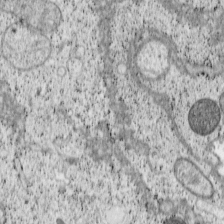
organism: African green monkey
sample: COS-7 cells